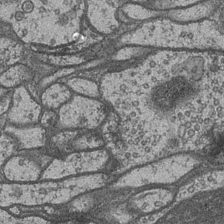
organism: Drosophila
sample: Optic medulla